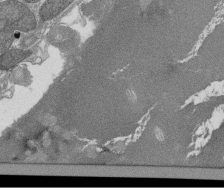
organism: Tetrahymena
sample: Cilia in tetrahymena